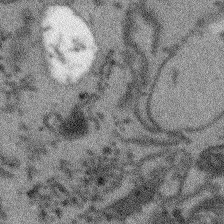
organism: Arabidopsis thaliana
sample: Root tip